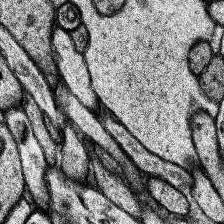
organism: Human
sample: Temporal Lobe